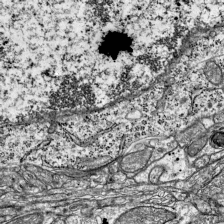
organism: Mouse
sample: Visual Cortex